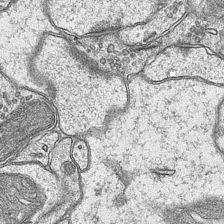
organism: Mouse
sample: CA1 Hippocampus